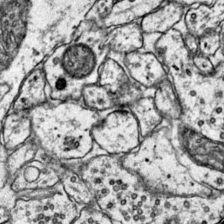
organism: Mouse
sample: Primary visual cortex